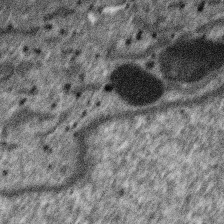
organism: Human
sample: Lung epithelial cells infected with SARS-CoV-2